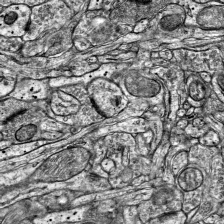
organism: Mouse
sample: Visual Cortex